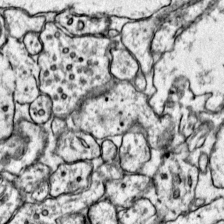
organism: Mouse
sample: Primary visual cortex